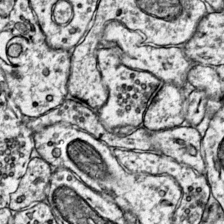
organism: Mouse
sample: Primary visual cortex